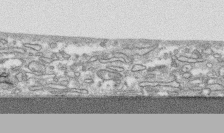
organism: Human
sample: CRL-1474